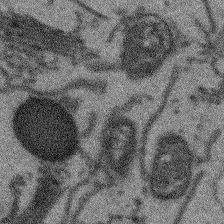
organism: Arabidopsis thaliana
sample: Root tip